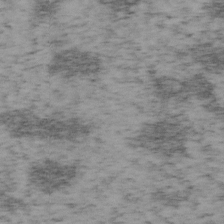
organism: Mouse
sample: OT-I killer T cells with ID8 ovarian cancer cells